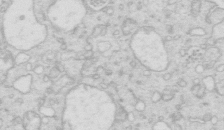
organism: Mouse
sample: Multiciliated cells